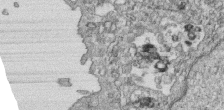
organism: Human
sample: HeLa cell HIV synapse